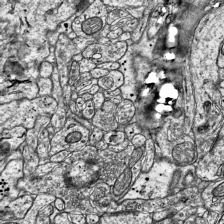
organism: Mouse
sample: Visual Cortex